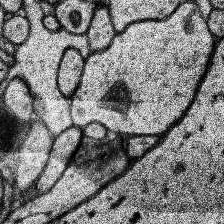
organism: Human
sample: Temporal Lobe